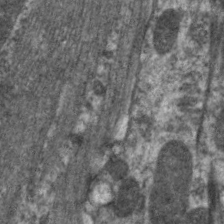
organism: C. elegans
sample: Pharynx